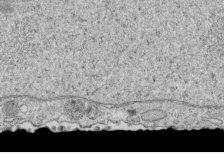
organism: Human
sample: HeLa cell HIV synapse